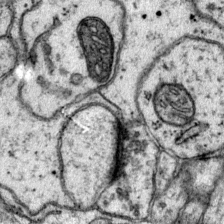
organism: Mouse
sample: Primary visual cortex